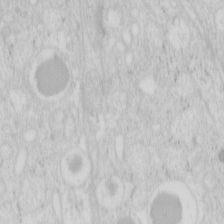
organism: Mouse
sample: Pancreas